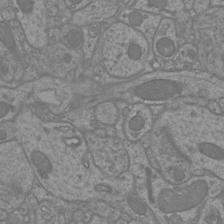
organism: Mouse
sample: Cortical neurons